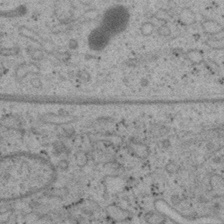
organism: Human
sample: HeLa cells